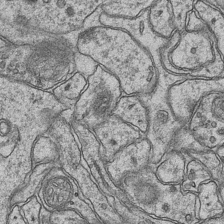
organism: Mouse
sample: CA1 Hippocampus